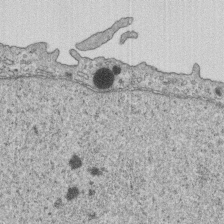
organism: Human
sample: HeLa cell HIV synapse